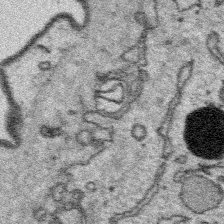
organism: Platynereis dumerilii